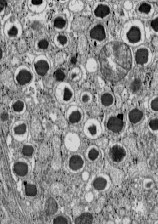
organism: C57BL Mouse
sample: Pancreatic islet